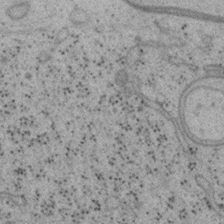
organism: Human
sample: HeLa cells